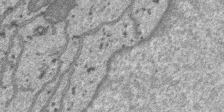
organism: Human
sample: Lung epithelial cells infected with SARS-CoV-2